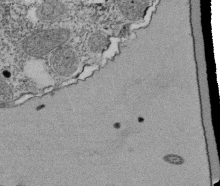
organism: Tetrahymena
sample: Cilia in tetrahymena